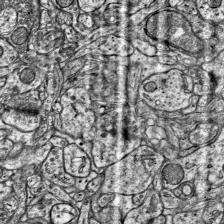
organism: Mouse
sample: Visual Cortex